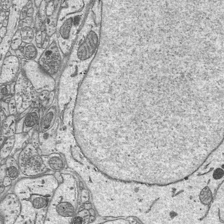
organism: Mouse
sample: Suprachiasmatic nucleus